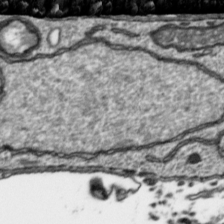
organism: Toxoplasma gondii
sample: Parasites in a vacuole inside a host cell